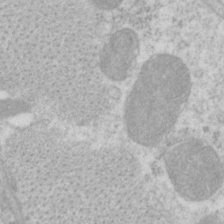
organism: P. pacificus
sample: Pharynx